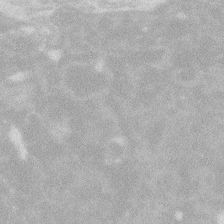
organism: Zebrafish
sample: Macrophage